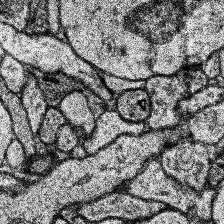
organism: Human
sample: Temporal Lobe